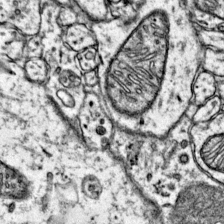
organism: Mouse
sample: Primary visual cortex